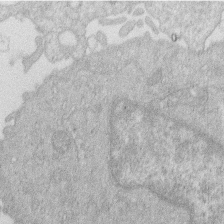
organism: Human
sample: Macrophage cells